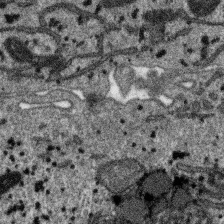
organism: Human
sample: Lung epithelial cells infected with SARS-CoV-2